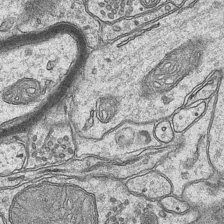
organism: Mouse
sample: CA1 Hippocampus